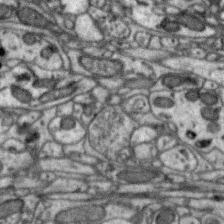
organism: Zebra finch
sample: Brain